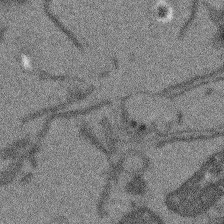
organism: Arabidopsis thaliana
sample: Root tip